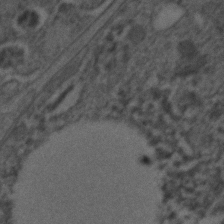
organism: C. elegans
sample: C. elegans embryo